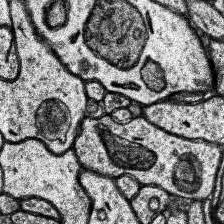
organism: Human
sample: Temporal Lobe